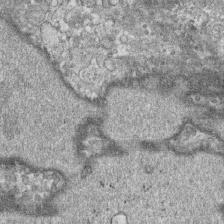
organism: Human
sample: CRL-1474